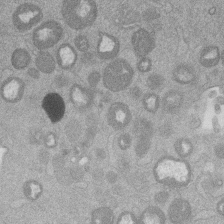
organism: Mouse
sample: Dividing mouse embryo 1 cell stage